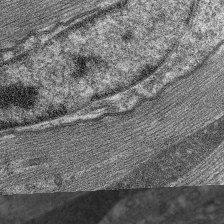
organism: C. elegans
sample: Pharynx